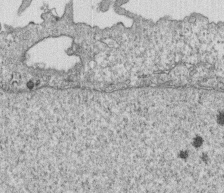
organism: Human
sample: HeLa cell HIV synapse